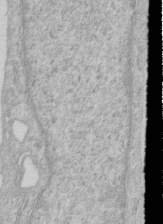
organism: Human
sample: Centriole in RPE cells